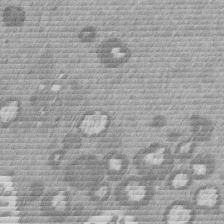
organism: Mouse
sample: Dividing mouse embryo 1 cell stage